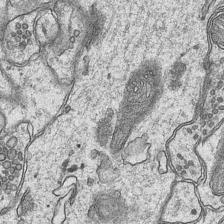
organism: Mouse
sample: CA1 Hippocampus